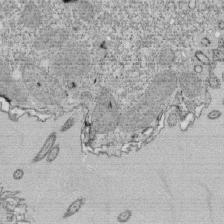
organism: Tetrahymena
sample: Cilia in tetrahymena